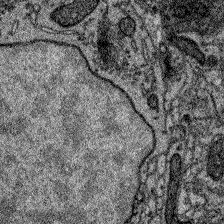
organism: Zebrafish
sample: Larval olfactory bulb